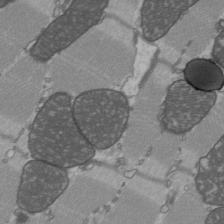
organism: C57BL Mouse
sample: Heart